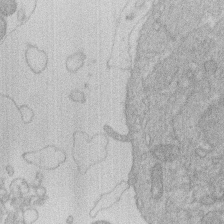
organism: Human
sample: Macrophage cells